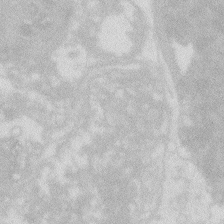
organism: Zebrafish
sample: Macrophage